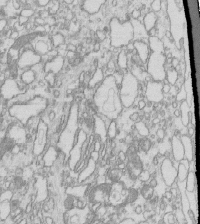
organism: Mouse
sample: Macrophages